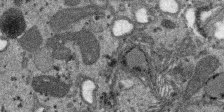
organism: Human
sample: Lung epithelial cells infected with SARS-CoV-2